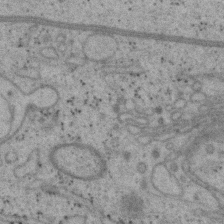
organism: Human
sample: HeLa cells